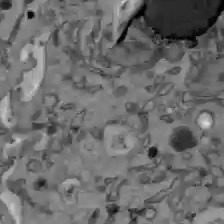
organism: C57BL Mouse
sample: Liver